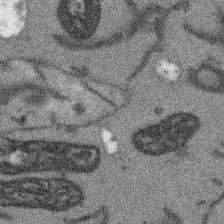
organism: Arabidopsis thaliana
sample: Root tip